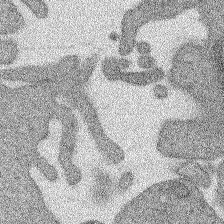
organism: Human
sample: HeLa cells